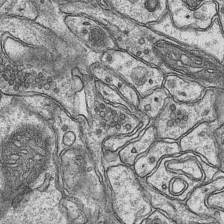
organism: Mouse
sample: CA1 Hippocampus